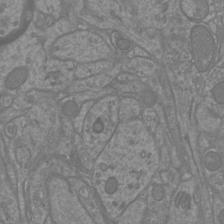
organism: Mouse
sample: Cortical neurons